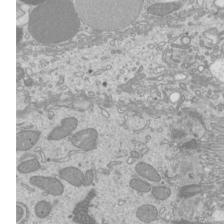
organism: Mouse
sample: Cilia; mouse epididymis